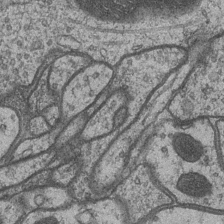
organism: Drosophila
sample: Optic medulla